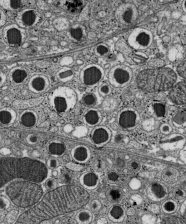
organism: C57BL Mouse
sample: Pancreatic islet